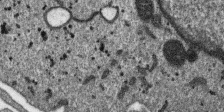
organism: Human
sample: Lung epithelial cells infected with SARS-CoV-2